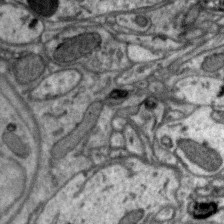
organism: Zebra finch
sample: Brain